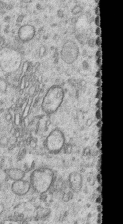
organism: Human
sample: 1205lu cells